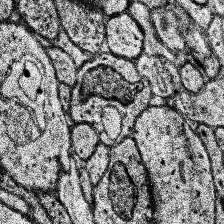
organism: Human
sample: Temporal Lobe